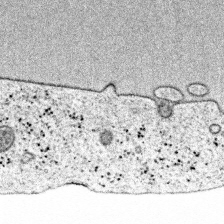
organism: Human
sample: HeLa cells